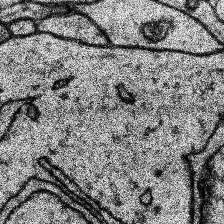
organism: Human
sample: Temporal Lobe